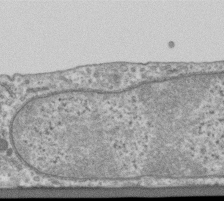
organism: Human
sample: Centriole in RPE cells